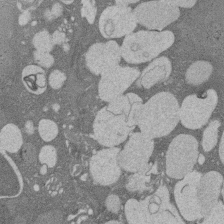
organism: Rat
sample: Salivary granule